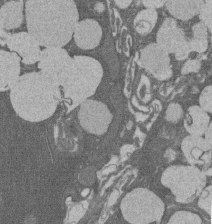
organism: Rat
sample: Salivary granule